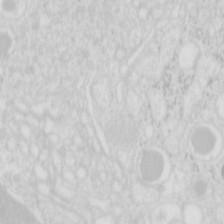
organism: Mouse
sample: Pancreas